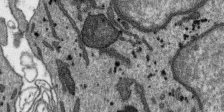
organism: Human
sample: Lung epithelial cells, uninfected (mock) control